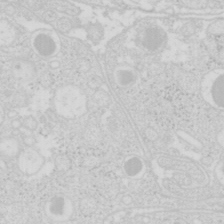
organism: Mouse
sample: Pancreas